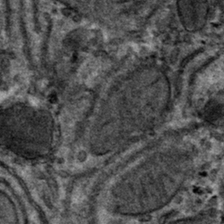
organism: Mouse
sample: Mouse hepatocytes